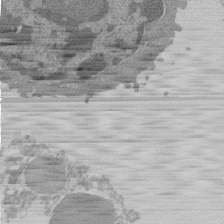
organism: Mouse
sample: Activated Pmel transgenic CD8+ T Cells